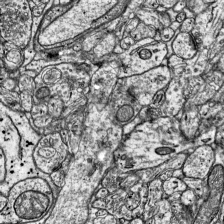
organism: Mouse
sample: Visual Cortex